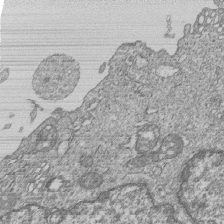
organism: Human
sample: MDA-MB-231 cells